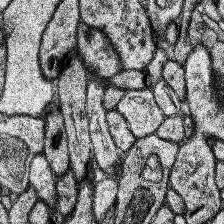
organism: Human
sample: Temporal Lobe